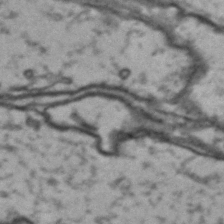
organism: Drosophila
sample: Brain